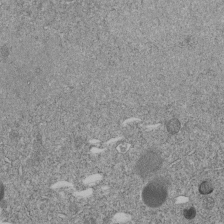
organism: C. elegans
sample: C. elegans embryo early stage